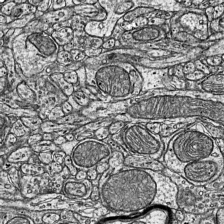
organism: Mouse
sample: Visual Cortex